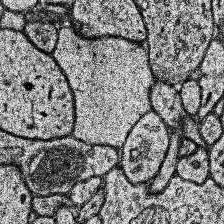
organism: Human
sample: Temporal Lobe